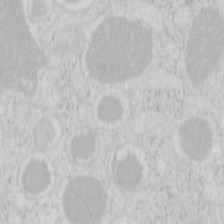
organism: Mouse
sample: Pancreas